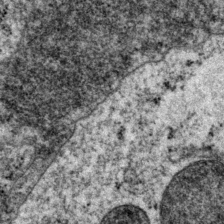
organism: P. pacificus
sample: Pharynx